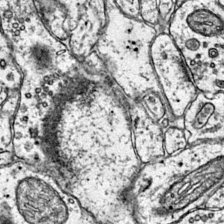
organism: Mouse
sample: Primary visual cortex